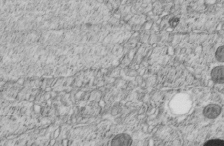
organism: C. elegans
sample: C. elegans embryo early stage